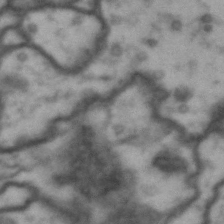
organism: Drosophila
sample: Brain